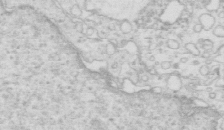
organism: Mouse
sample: Multiciliated cells